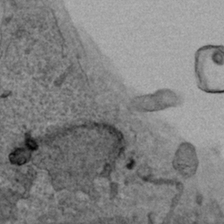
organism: Human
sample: Mitochondria in HCT116 cells